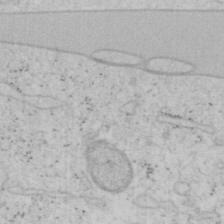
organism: Human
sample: HeLa cells